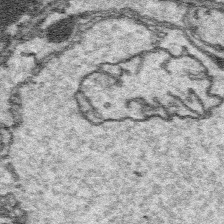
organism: Platynereis dumerilii